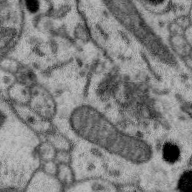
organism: Zebra finch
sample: Brain